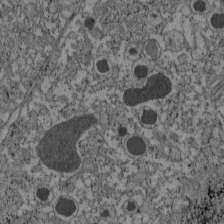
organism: C57BL Mouse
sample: Pancreatic islet